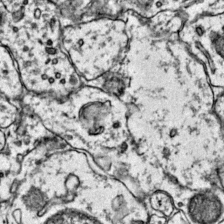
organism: Mouse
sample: Primary visual cortex